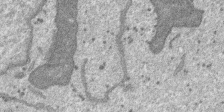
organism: Human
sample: Lung epithelial cells infected with SARS-CoV-2